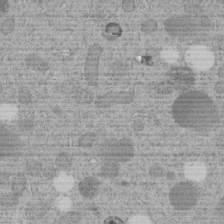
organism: C. elegans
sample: C. elegans embryo early stage